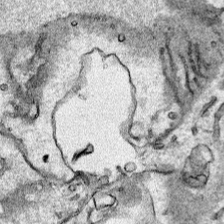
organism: Human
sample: Mitochondria in HCT116 cells